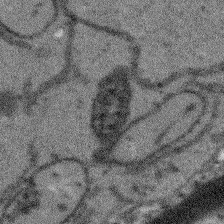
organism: Arabidopsis thaliana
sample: Root tip